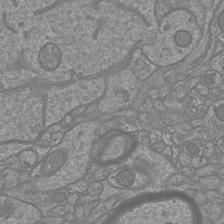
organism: Mouse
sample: Cortical neurons